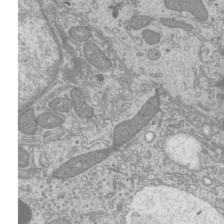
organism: Mouse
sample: Cilia; mouse epididymis